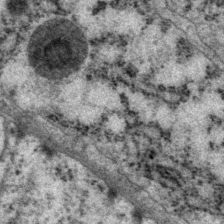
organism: P. pacificus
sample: Pharynx